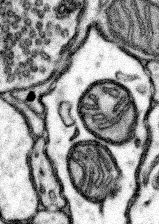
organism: Mouse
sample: Somatosensory cortex neuropil